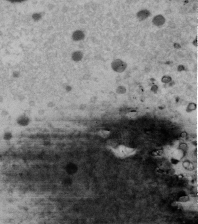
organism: Human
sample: U2-OS cells